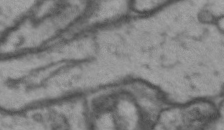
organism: Drosophila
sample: Brain